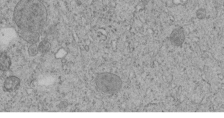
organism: C. elegans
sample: C. elegans embryo early stage